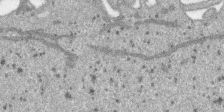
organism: Human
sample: Lung epithelial cells infected with SARS-CoV-2